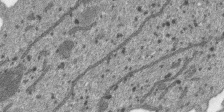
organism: Human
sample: Lung epithelial cells infected with SARS-CoV-2